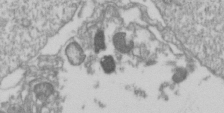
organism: Drosophila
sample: Cell division; meiosis; drosophila spermatocytes